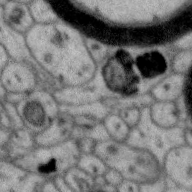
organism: Zebra finch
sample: Brain